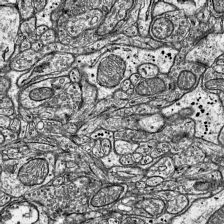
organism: Mouse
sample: Visual Cortex